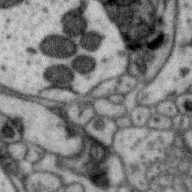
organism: Zebra finch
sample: Brain